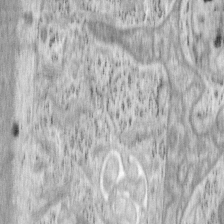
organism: Human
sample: HeLa cells